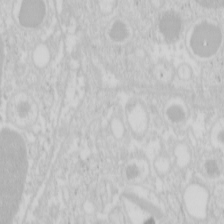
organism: Mouse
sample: Pancreas